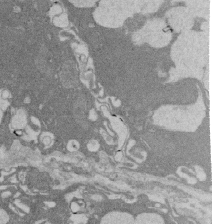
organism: Rat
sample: Salivary granule